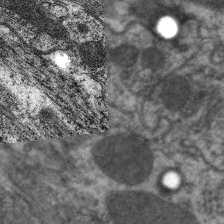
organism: C. elegans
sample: Pharynx